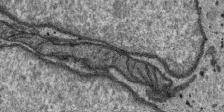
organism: Human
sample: Lung epithelial cells, uninfected (mock) control